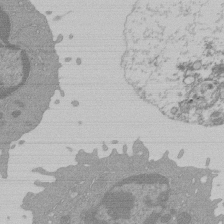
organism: Mouse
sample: Activated Pmel transgenic CD8+ T Cells